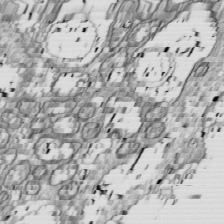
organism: Drosophila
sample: Cell division; meiosis; drosophila spermatocytes